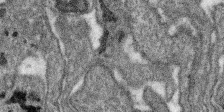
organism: Human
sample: Lung epithelial cells infected with SARS-CoV-2